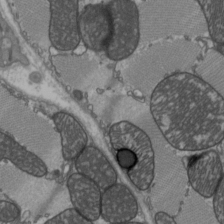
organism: C57BL Mouse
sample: Heart